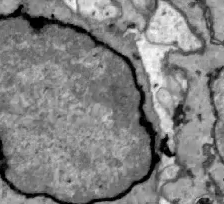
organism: Zebrafish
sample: Actinotrichia fibers